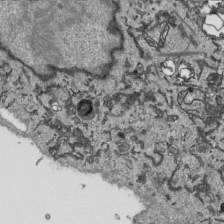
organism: Human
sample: Mitochondria in HCT116 cells